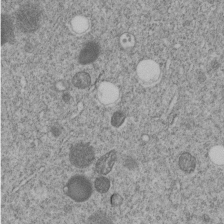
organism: C. elegans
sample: C. elegans embryo early stage